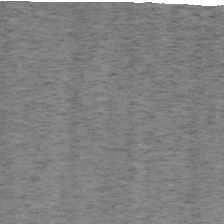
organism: Mouse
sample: OT-I killer T cells with ID8 ovarian cancer cells